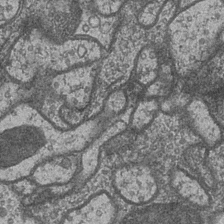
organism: Drosophila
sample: Optic medulla